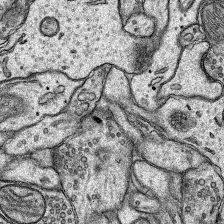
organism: Rat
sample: Hippocampus